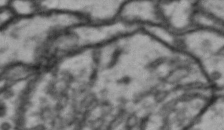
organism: Drosophila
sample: Brain